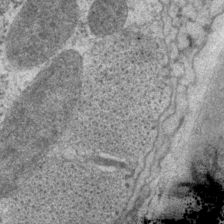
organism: P. pacificus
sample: Pharynx